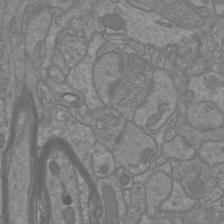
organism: Mouse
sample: Cortical neurons